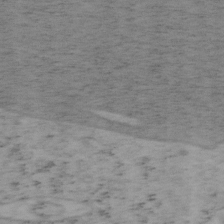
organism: Mouse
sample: OT-I killer T cells with ID8 ovarian cancer cells